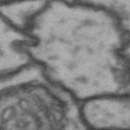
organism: Drosophila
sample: Brain